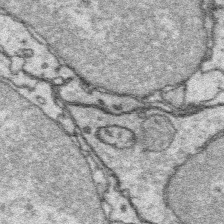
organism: Platynereis dumerilii